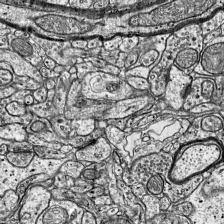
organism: Mouse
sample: Visual Cortex